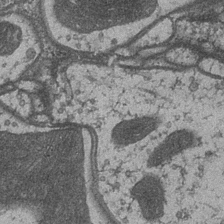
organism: Drosophila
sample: Optic medulla